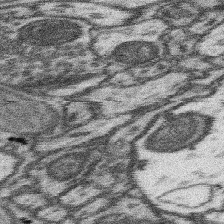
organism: Mouse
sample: Somatosensory cortex neuropil